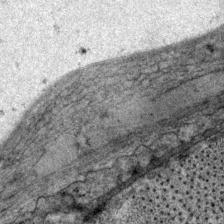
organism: P. pacificus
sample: Pharynx